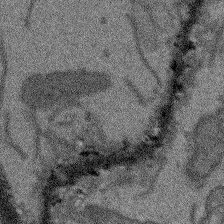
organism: Arabidopsis thaliana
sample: Root tip